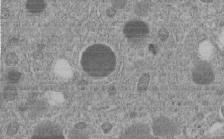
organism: C. elegans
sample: C. elegans embryo early stage